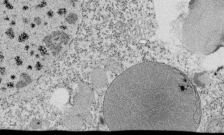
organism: Tetrahymena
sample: Cilia in tetrahymena